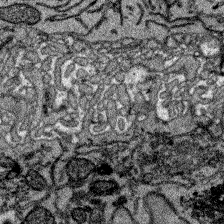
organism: Zebrafish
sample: Larval olfactory bulb